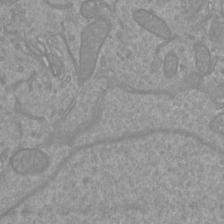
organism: Mouse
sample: Cortical neurons